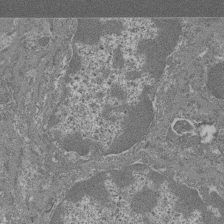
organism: Mouse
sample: Glomerulus